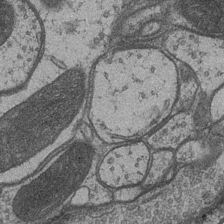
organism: Drosophila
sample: Optic medulla